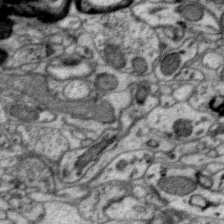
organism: Zebra finch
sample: Brain